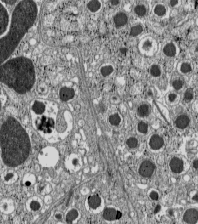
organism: C57BL Mouse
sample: Pancreatic islet